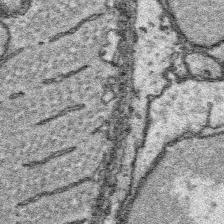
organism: Platynereis dumerilii